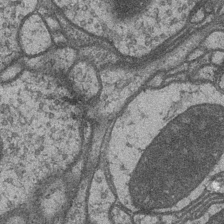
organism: Drosophila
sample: Optic medulla